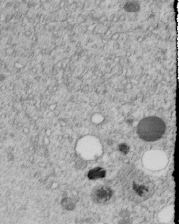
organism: C. elegans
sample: C. elegans embryo early stage